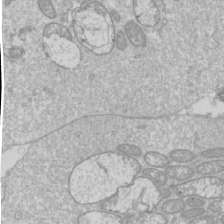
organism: Drosophila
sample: Cell division; meiosis; drosophila spermatocytes